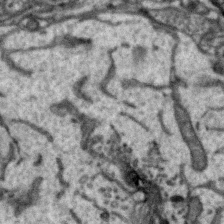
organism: Zebra finch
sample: Brain